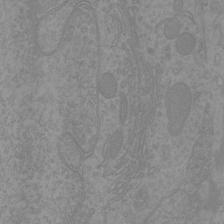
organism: Mouse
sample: Cortical neurons